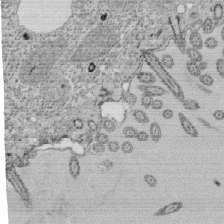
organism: Tetrahymena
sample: Cilia in tetrahymena